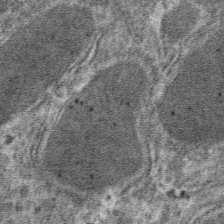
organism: Mouse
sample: Mouse hepatocytes